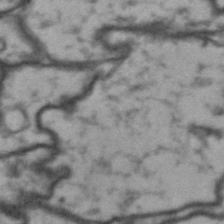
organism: Drosophila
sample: Brain